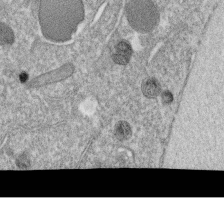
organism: C. elegans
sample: C. elegans oocyte; sperm cells